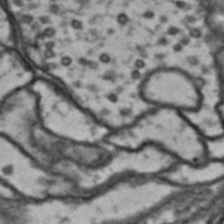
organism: Drosophila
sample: Brain